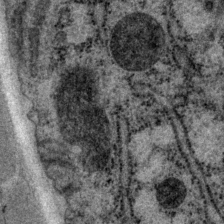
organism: P. pacificus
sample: Pharynx